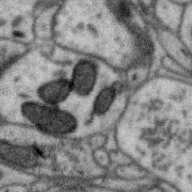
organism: Zebra finch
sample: Brain